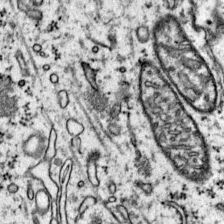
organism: Mouse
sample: Primary visual cortex